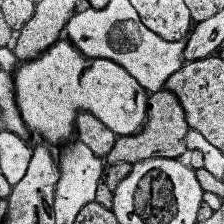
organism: Human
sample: Temporal Lobe